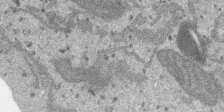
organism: Human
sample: Lung epithelial cells infected with SARS-CoV-2